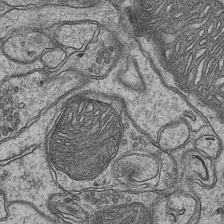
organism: Mouse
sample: CA1 Hippocampus